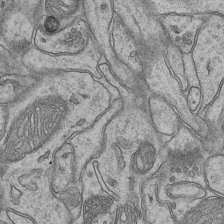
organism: Mouse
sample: CA1 Hippocampus